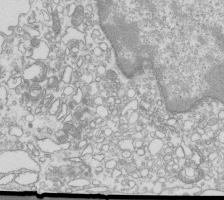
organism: Mouse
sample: Macrophages